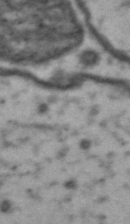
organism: Drosophila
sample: Brain